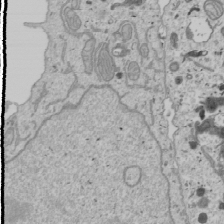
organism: Human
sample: Mitochondria in U2OS cells